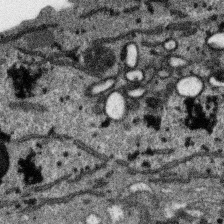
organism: Human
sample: Lung epithelial cells infected with SARS-CoV-2